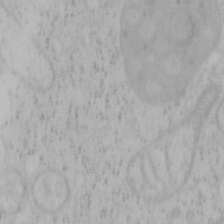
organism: Mouse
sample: OT-I killer T cells with ID8 ovarian cancer cells